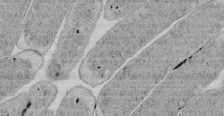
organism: E. coli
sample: Bacterial nucleoid